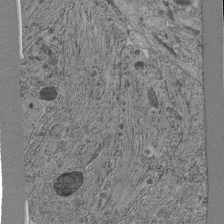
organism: C. elegans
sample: C. elegans pharynx